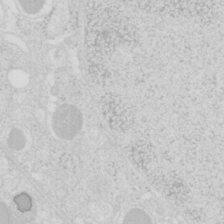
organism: Mouse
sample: Pancreas